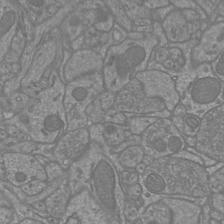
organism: Mouse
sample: Cortical neurons